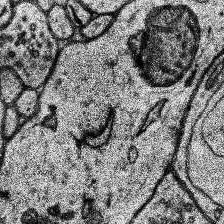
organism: Human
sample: Temporal Lobe